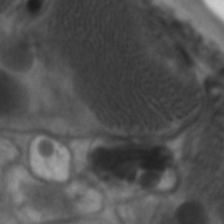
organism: C. elegans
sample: Pharynx